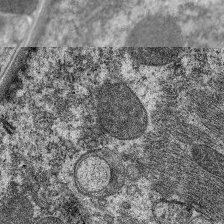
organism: C. elegans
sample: Pharynx